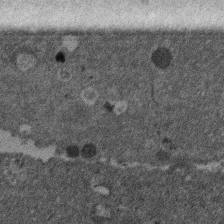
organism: Mouse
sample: Dividing mouse embryo 1 cell stage